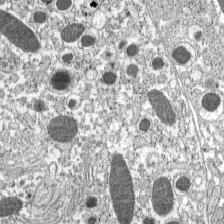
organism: C57BL Mouse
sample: Pancreatic islet